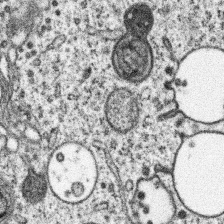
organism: Human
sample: HeLa cells